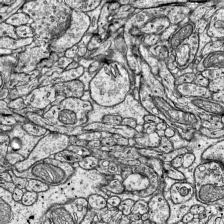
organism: Mouse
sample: Visual Cortex